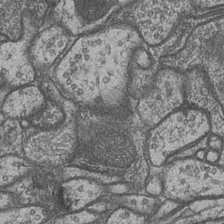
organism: Drosophila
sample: Optic medulla